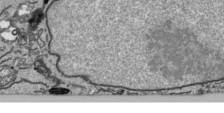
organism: Human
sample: Mitochondria in HCT116 cells